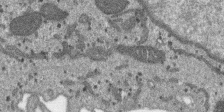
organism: Human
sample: Lung epithelial cells infected with SARS-CoV-2